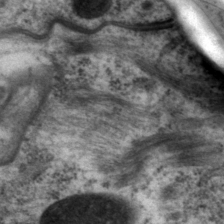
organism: P. pacificus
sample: Pharynx